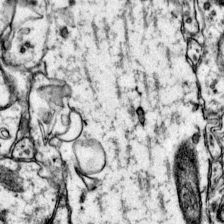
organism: Mouse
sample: Primary visual cortex